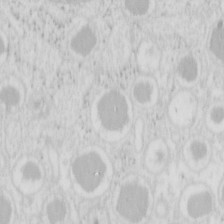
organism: Mouse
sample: Pancreas